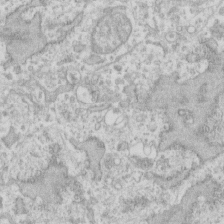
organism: Human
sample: Fibroblast cells